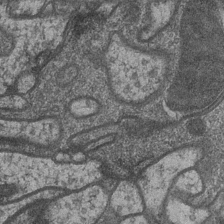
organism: Drosophila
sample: Optic medulla